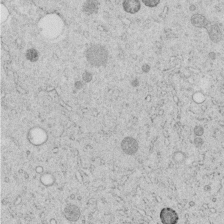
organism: C. elegans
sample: C. elegans embryo early stage